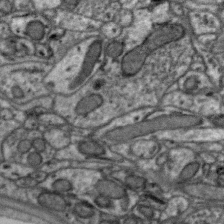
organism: Zebra finch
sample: Brain